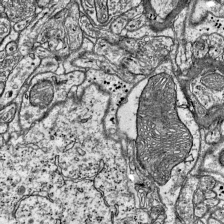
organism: Mouse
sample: Visual Cortex